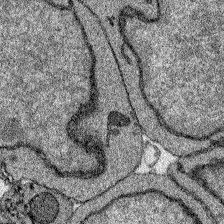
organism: Zebrafish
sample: Larval olfactory bulb